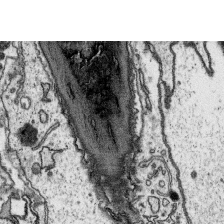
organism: Platynereis dumerilii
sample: Parapodia